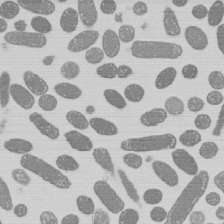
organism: E. coli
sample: Bacterial nucleoid